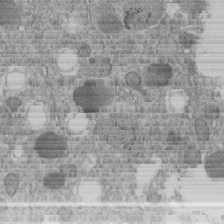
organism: C. elegans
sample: C. elegans embryo early stage